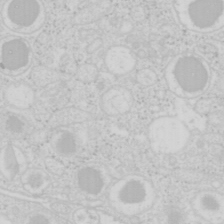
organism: Mouse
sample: Pancreas